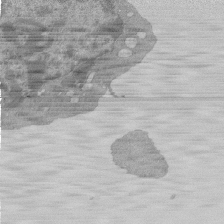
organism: Mouse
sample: Activated Pmel transgenic CD8+ T Cells